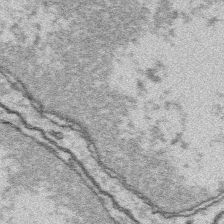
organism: Platynereis dumerilii